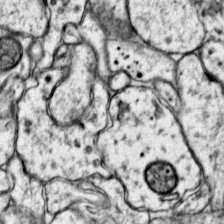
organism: Mouse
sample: Primary visual cortex